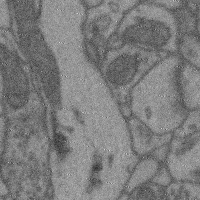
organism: Mouse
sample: Cerebral cortex